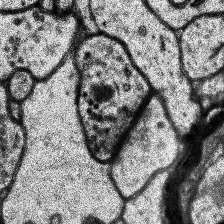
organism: Human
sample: Temporal Lobe